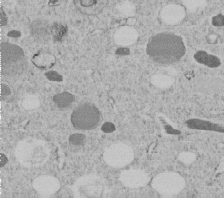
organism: C. elegans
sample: C. elegans embryo early stage